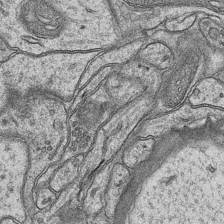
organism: Mouse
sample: CA1 Hippocampus